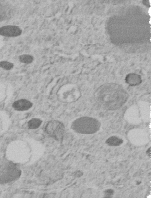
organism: C. elegans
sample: C. elegans embryo early stage